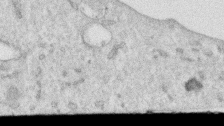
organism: Human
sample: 1205lu cells